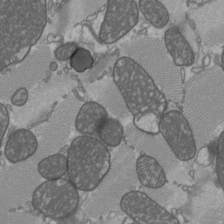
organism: C57BL Mouse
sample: Heart